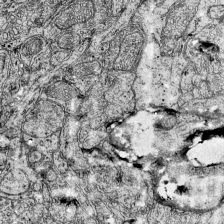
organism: Mouse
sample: Visual Cortex